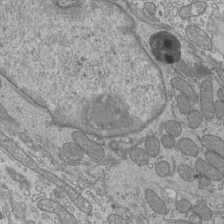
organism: Mouse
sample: Cilia; mouse epididymis